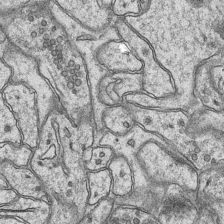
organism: Mouse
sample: CA1 Hippocampus